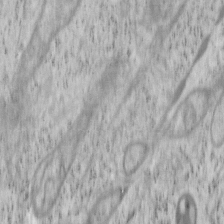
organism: Human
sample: HeLa cells